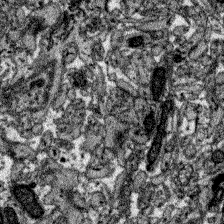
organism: Zebrafish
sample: Larval olfactory bulb